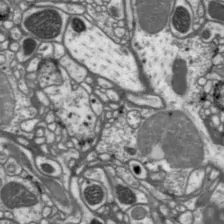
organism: Drosophila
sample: Protocerebral bridge